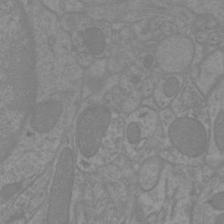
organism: Mouse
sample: Cortical neurons